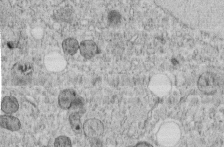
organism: C. elegans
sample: C. elegans embryo early stage